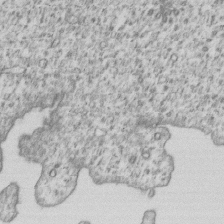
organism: Human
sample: MDA-MB-231 cells